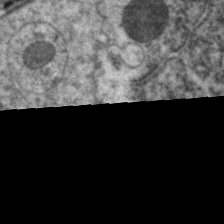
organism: C. elegans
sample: Pharynx